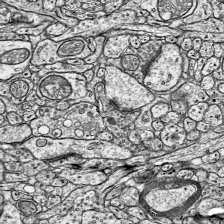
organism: Mouse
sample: Visual Cortex